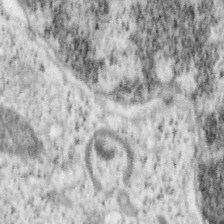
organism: Mouse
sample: OT-I killer T cells with ID8 ovarian cancer cells